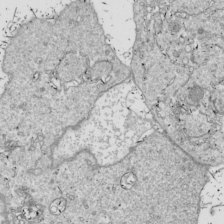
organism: Drosophila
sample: Cell division; meiosis; drosophila spermatocytes